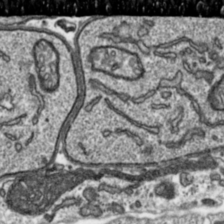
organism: Toxoplasma gondii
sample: Parasites in a vacuole inside a host cell